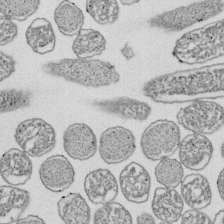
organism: E. coli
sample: Bacterial nucleoid